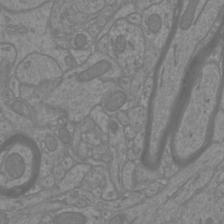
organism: Mouse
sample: Cortical neurons